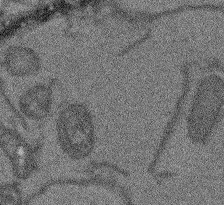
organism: Arabidopsis thaliana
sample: Root tip